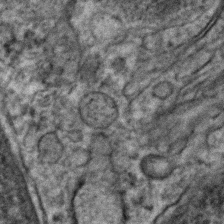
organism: Human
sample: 1205lu cells